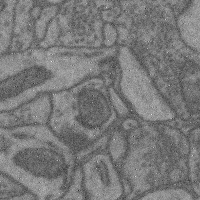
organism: Mouse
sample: Cerebral cortex